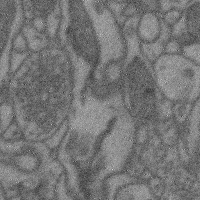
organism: Mouse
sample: Cerebral cortex